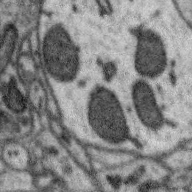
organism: Zebra finch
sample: Brain